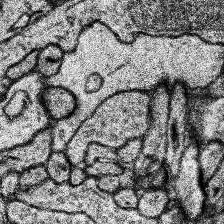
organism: Human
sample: Temporal Lobe